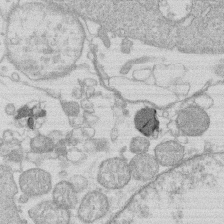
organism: Human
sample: Macrophage cells